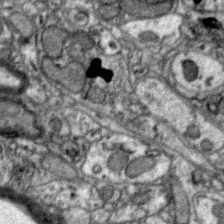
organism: Zebra finch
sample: Brain